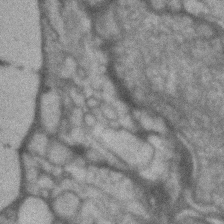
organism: Human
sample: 1205lu cells